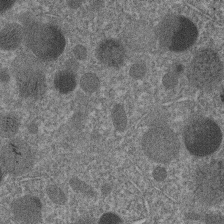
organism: C. elegans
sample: C. elegans embryo early stage